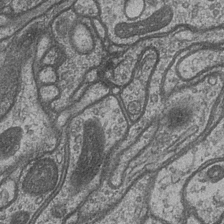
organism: Drosophila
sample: Optic medulla